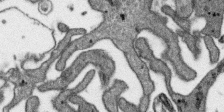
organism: Human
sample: Lung epithelial cells, uninfected (mock) control